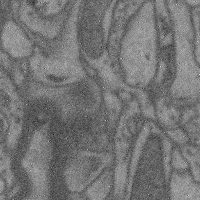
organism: Mouse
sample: Cerebral cortex